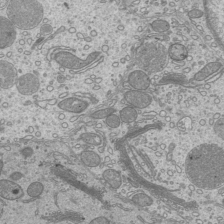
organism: Mouse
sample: Cilia; mouse epididymis